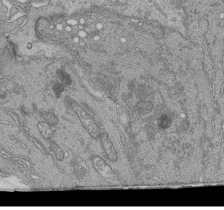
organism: Human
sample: Retinal organoid Rod and Cone cells